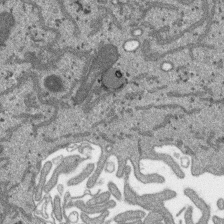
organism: Human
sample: Lung epithelial cells infected with SARS-CoV-2